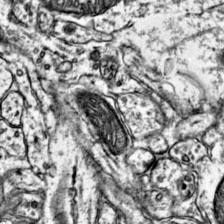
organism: Mouse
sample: Primary visual cortex